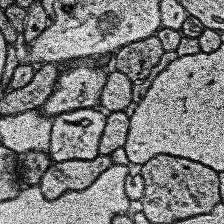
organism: Human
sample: Temporal Lobe